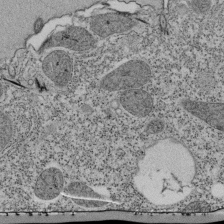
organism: Tetrahymena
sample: Cilia in tetrahymena